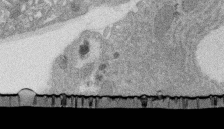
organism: Rat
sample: Salivary granule